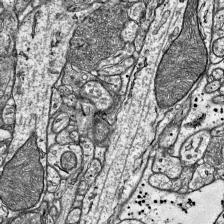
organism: Mouse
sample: Visual Cortex